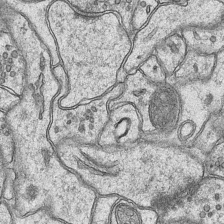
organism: Mouse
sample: CA1 Hippocampus